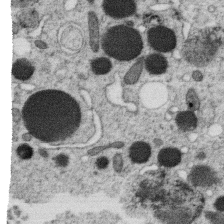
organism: C. elegans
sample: C. elegans oocyte; sperm cells